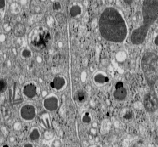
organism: C57BL Mouse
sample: Pancreatic islet